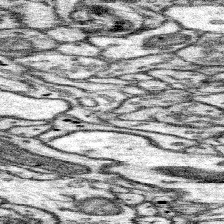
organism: Mouse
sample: Somatosensory cortex neuropil